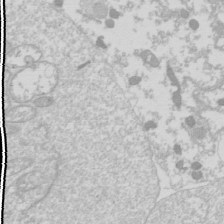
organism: Drosophila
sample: Cell division; meiosis; drosophila spermatocytes